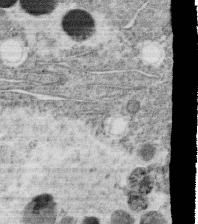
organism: C. elegans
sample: C. elegans oocyte; sperm cells